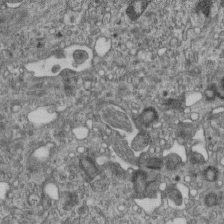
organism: Mouse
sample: Centriole in ependymal cells